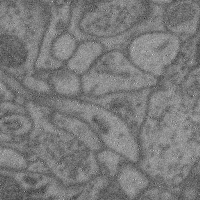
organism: Mouse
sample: Cerebral cortex